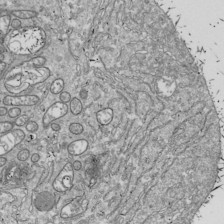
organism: Drosophila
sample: Cell division; meiosis; drosophila spermatocytes